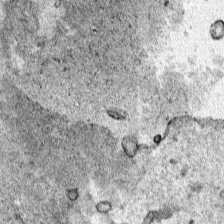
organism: Human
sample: Mitochondria in HCT116 cells